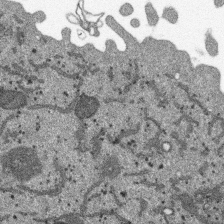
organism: Human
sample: Lung epithelial cells infected with SARS-CoV-2